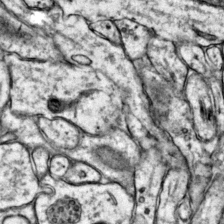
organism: Mouse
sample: Primary visual cortex